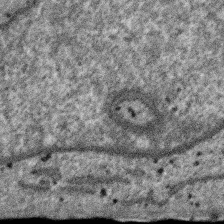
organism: Human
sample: Lung epithelial cells infected with SARS-CoV-2